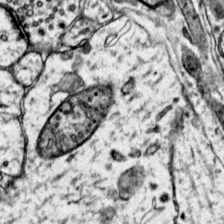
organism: Mouse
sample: Primary visual cortex